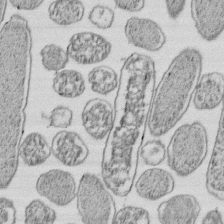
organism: E. coli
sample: Bacterial nucleoid